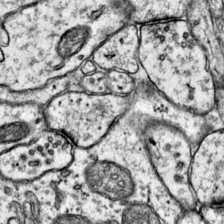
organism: Mouse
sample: Primary visual cortex